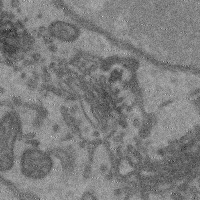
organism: Mouse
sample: Cerebral cortex